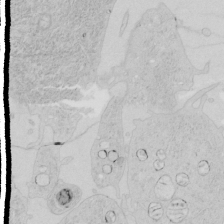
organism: Human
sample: Mitochondria in HCT116 cells